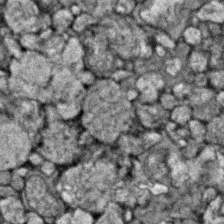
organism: Zebrafish